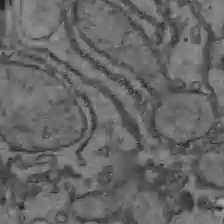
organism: C57BL Mouse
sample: Liver